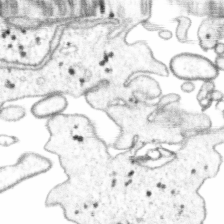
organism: Human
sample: HeLa cells